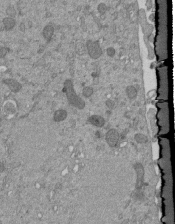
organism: Mouse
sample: ED-1 cell nuclei; centrioles